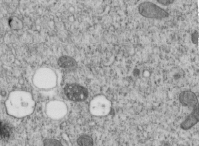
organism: C. elegans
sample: C. elegans embryo early stage